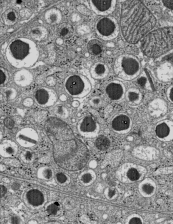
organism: C57BL Mouse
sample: Pancreatic islet